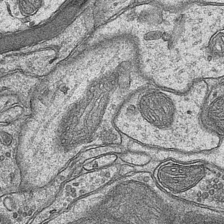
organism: Mouse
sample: CA1 Hippocampus